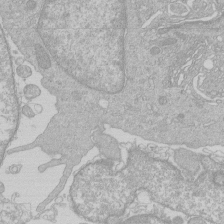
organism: Human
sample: Macrophage cells